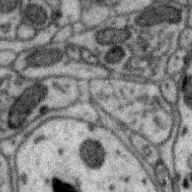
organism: Zebra finch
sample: Brain